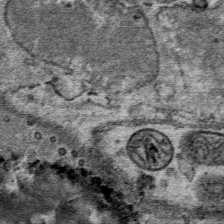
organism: Mouse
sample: Mouse Salivary gland